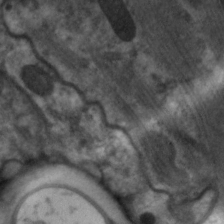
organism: C. elegans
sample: Pharynx